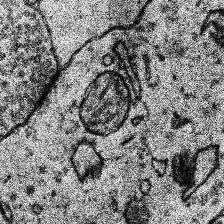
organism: Human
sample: Temporal Lobe